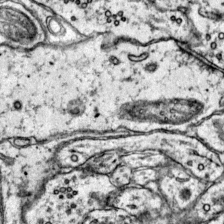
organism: Mouse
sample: Primary visual cortex